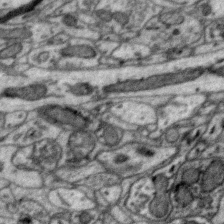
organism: Zebra finch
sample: Brain